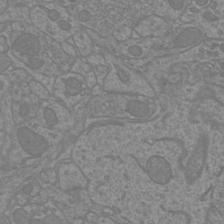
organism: Mouse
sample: Cortical neurons